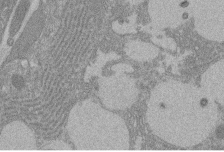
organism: Rat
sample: Salivary granule